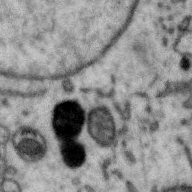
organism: Zebra finch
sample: Brain